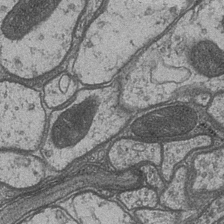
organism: Drosophila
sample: Optic medulla